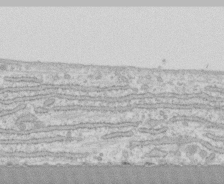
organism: Human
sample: CRL-1474